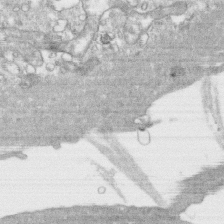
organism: Human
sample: CRL-1474